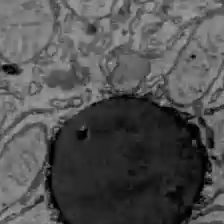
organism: C57BL Mouse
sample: Liver